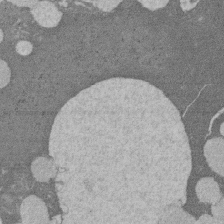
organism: Rat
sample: Salivary granule